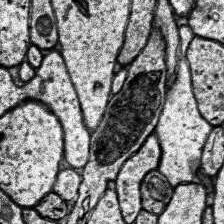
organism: Human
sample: Temporal Lobe